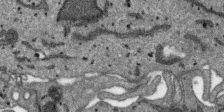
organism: Human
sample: Lung epithelial cells, uninfected (mock) control